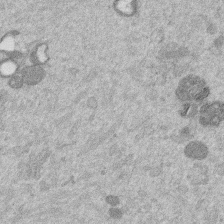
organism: Mouse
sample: Dividing mouse embryo 1 cell stage